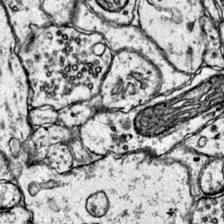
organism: Mouse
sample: Primary visual cortex